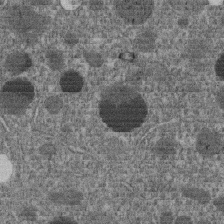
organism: C. elegans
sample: C. elegans embryo early stage